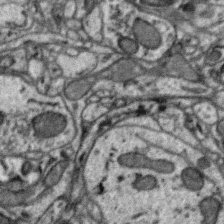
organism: Zebra finch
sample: Brain